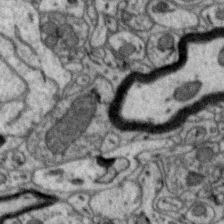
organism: Zebra finch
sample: Brain